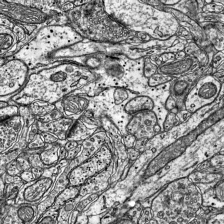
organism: Mouse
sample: Visual Cortex